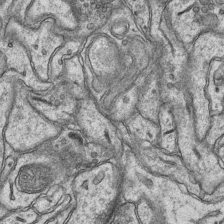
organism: Mouse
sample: CA1 Hippocampus